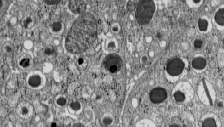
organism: C57BL Mouse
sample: Pancreatic islet